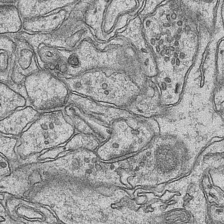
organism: Mouse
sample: CA1 Hippocampus